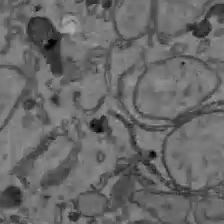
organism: C57BL Mouse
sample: Liver